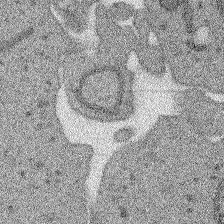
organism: Human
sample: HeLa cells